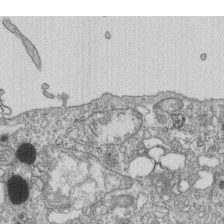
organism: Human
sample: HeLa cell HIV synapse